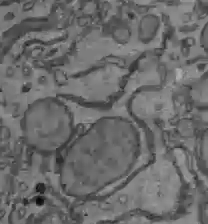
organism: C57BL Mouse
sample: Liver